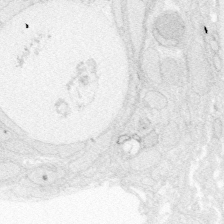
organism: Zebrafish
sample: Whole-Brain